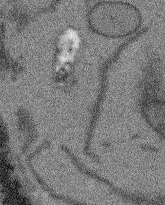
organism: Arabidopsis thaliana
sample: Root tip